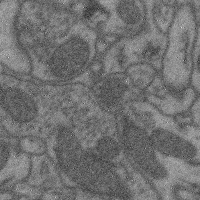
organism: Mouse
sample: Cerebral cortex